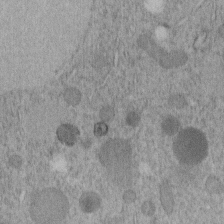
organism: C. elegans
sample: C. elegans embryo early stage